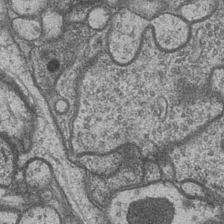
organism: Drosophila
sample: Optic medulla